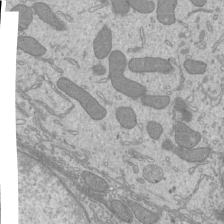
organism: Mouse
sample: Cilia; mouse epididymis